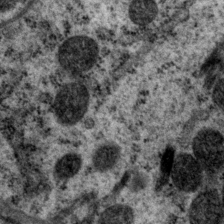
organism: P. pacificus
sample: Pharynx